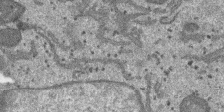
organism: Human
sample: Lung epithelial cells infected with SARS-CoV-2